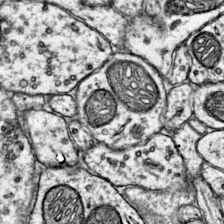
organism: Mouse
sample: Primary visual cortex